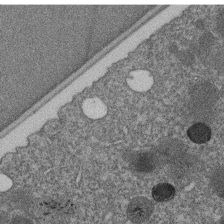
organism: C. elegans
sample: C. elegans embryo early stage